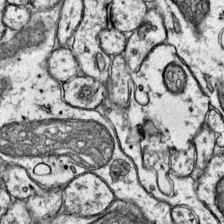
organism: Mouse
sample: Primary visual cortex